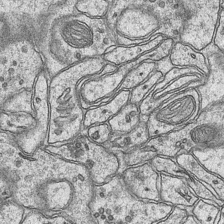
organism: Mouse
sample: CA1 Hippocampus